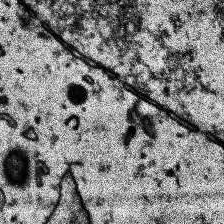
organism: Human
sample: Temporal Lobe